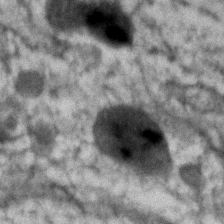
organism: Human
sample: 1205lu cells